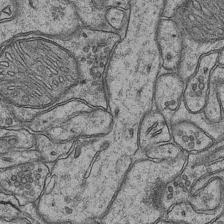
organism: Mouse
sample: CA1 Hippocampus